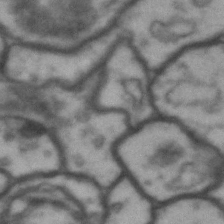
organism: Drosophila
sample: Brain